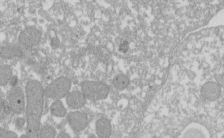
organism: Xenopus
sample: Cilia; centrioles in frog embryo cells